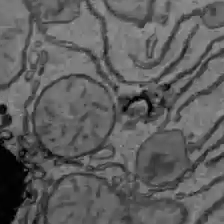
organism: C57BL Mouse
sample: Liver